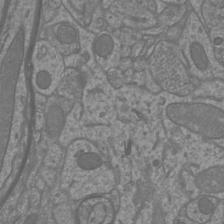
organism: Mouse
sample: Cortical neurons